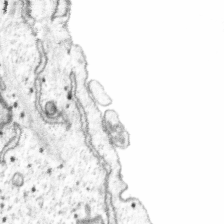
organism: Human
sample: HeLa cells